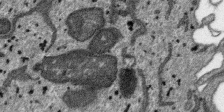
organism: Human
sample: Lung epithelial cells, uninfected (mock) control